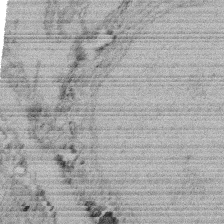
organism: Rat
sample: Salivary granule